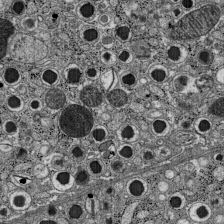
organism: C57BL Mouse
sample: Pancreatic islet